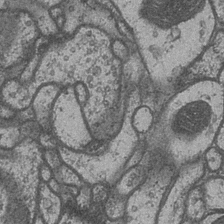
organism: Drosophila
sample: Optic medulla